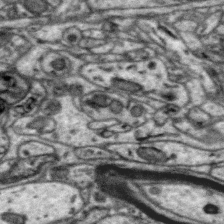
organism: Zebra finch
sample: Brain